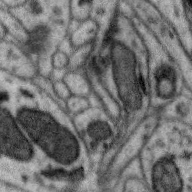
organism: Zebra finch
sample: Brain